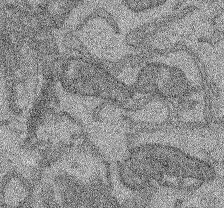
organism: Human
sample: HeLa cells